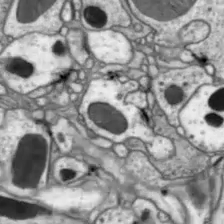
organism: Drosophila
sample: Optic lobe